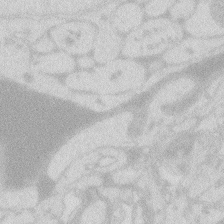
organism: Zebrafish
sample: Macrophage